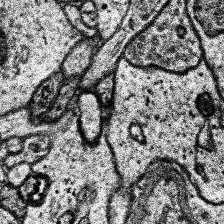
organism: Human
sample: Temporal Lobe